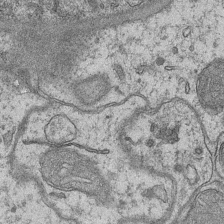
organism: Mouse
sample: CA1 Hippocampus